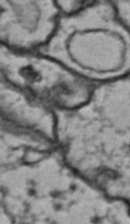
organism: Drosophila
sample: Brain